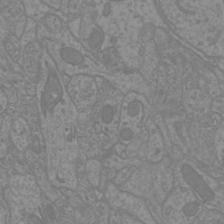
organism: Mouse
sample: Cortical neurons